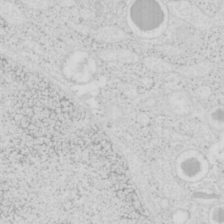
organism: Mouse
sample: Pancreas